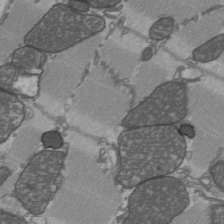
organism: C57BL Mouse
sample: Heart